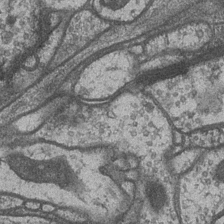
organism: Drosophila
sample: Optic medulla